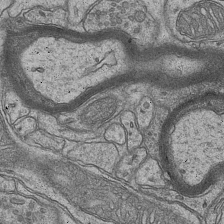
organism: Mouse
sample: CA1 Hippocampus